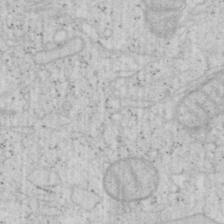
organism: Human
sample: HeLa cells